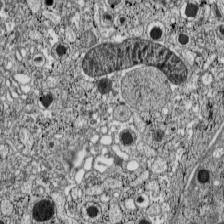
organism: C57BL Mouse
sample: Pancreatic islet